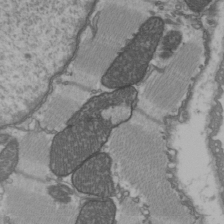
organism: C57BL Mouse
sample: Heart